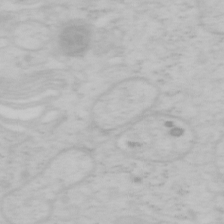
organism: Mouse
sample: OT-I killer T cells with ID8 ovarian cancer cells